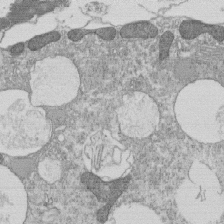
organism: Tetrahymena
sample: Cilia in tetrahymena